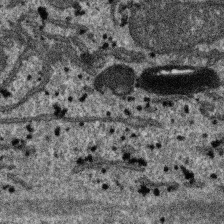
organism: Human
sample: Lung epithelial cells infected with SARS-CoV-2